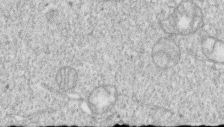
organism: Human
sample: HeLa cell HIV synapse